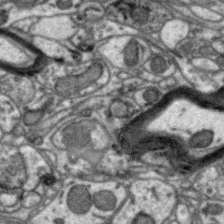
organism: Zebra finch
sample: Brain